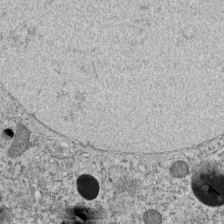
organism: C. elegans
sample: C. elegans embryo early stage